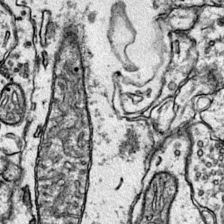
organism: Mouse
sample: Primary visual cortex